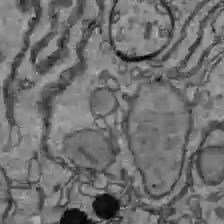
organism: C57BL Mouse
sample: Liver